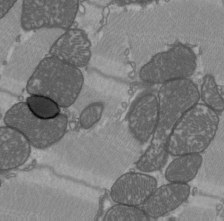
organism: C57BL Mouse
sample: Heart